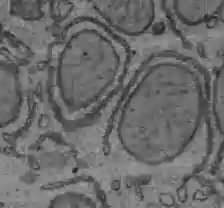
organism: C57BL Mouse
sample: Liver